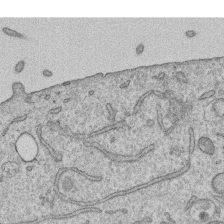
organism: Human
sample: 1205lu cells